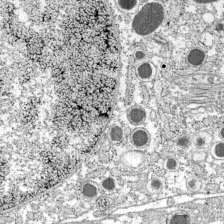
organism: C57BL Mouse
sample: Pancreatic islet